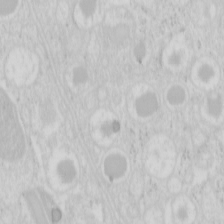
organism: Mouse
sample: Pancreas